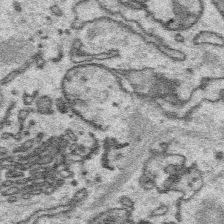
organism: Platynereis dumerilii